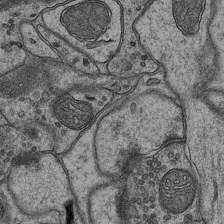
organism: Mouse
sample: CA1 Hippocampus